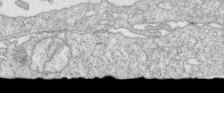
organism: Human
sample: HeLa cell HIV synapse